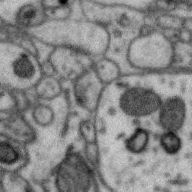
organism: Zebra finch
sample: Brain